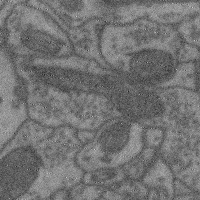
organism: Mouse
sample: Cerebral cortex